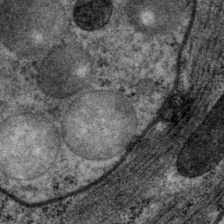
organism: P. pacificus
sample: Pharynx